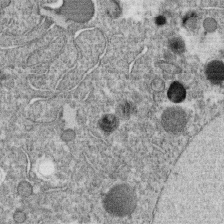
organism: C. elegans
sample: C. elegans oocyte; sperm cells